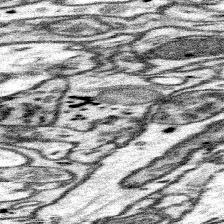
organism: Mouse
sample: Somatosensory cortex neuropil